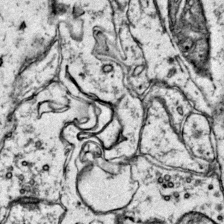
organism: Mouse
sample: Primary visual cortex